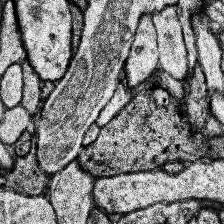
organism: Human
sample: Temporal Lobe